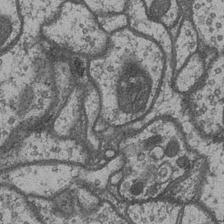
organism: Drosophila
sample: Optic medulla